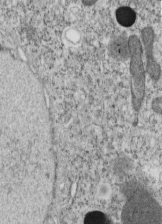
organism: C. elegans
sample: C. elegans embryo early stage